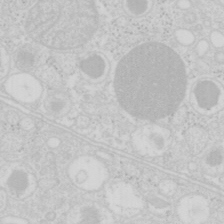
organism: Mouse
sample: Pancreas